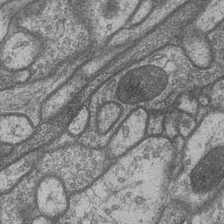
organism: Drosophila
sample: Optic medulla